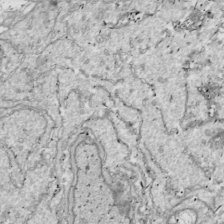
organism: Drosophila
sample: Cell division; meiosis; drosophila spermatocytes